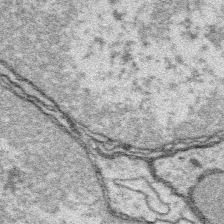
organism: Platynereis dumerilii